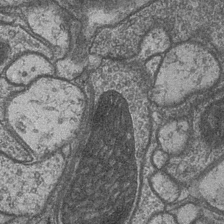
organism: Drosophila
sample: Optic medulla